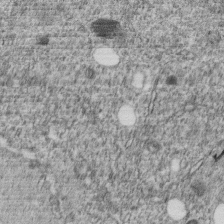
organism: C. elegans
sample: C. elegans embryo early stage